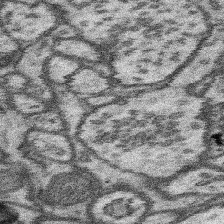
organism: Mouse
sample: Somatosensory cortex neuropil